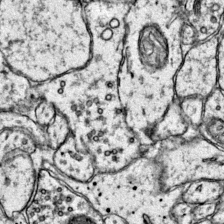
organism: Mouse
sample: Primary visual cortex